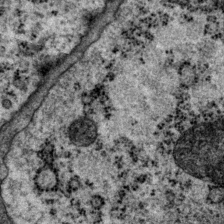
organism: P. pacificus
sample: Pharynx